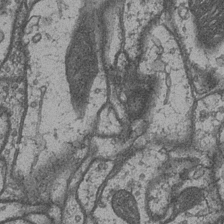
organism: Drosophila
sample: Optic medulla